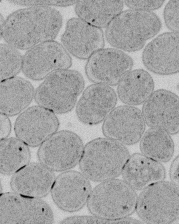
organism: E. coli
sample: Bacterial nucleoid